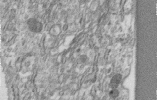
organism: Human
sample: Centriole in RPE cells